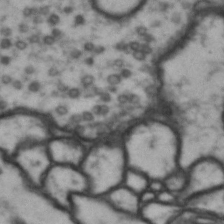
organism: Drosophila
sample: Brain